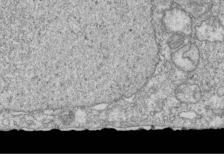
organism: Human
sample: HeLa cell HIV synapse